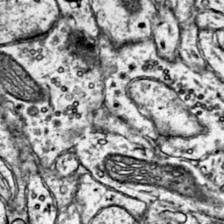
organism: Mouse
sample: Primary visual cortex